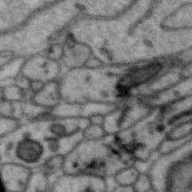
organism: Zebra finch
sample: Brain